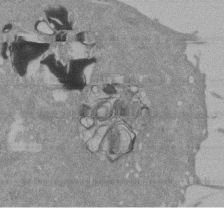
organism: Mouse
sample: ED-1 cell nuclei; centrioles